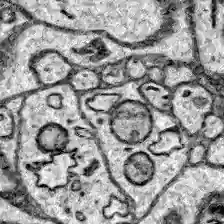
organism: Zebrafish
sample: Brain